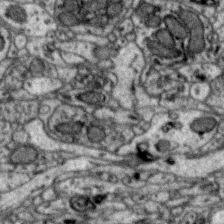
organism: Zebra finch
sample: Brain